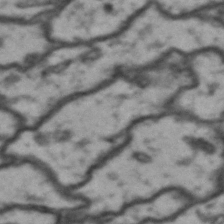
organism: Drosophila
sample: Brain